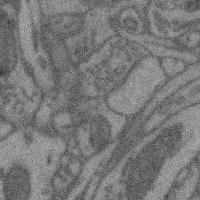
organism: Mouse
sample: Cerebral cortex